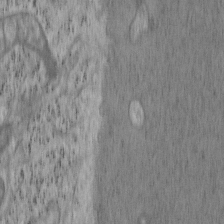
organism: Human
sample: HeLa cells